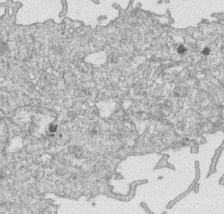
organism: Human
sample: HeLa cell HIV synapse